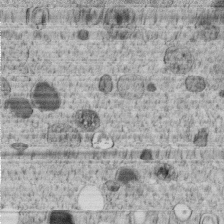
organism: C. elegans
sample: C. elegans embryo early stage